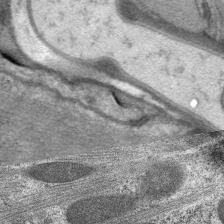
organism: C. elegans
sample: Pharynx